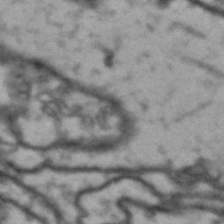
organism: Drosophila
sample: Brain